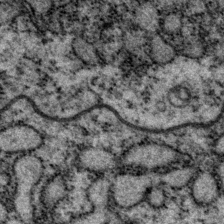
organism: P. pacificus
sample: Pharynx